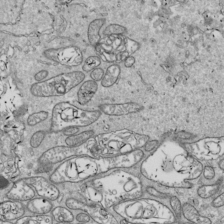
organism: Drosophila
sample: Cell division; meiosis; drosophila spermatocytes